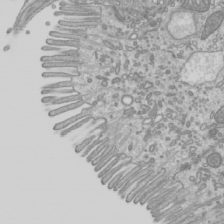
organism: Mouse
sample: Cilia; mouse epididymis